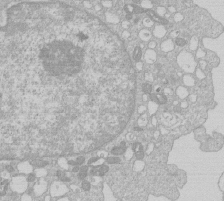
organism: Human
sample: Macrophage cells